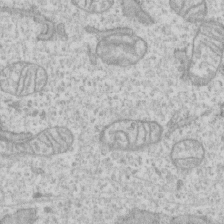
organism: Human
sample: CRL-1474